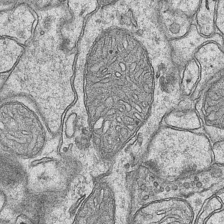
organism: Mouse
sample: CA1 Hippocampus